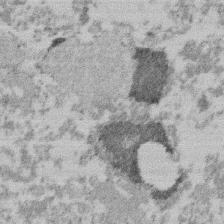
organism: Mouse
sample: Dividing mouse embryo 1 cell stage